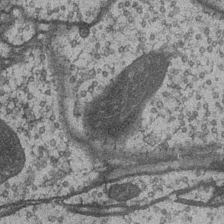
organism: Drosophila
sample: Optic medulla